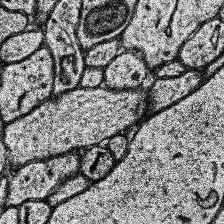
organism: Human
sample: Temporal Lobe